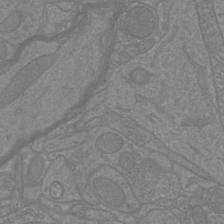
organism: Mouse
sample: Cortical neurons